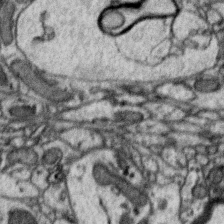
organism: Zebra finch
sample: Brain